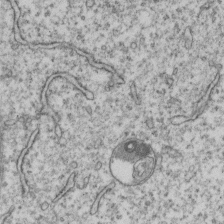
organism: Human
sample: MDA-MB-231 cells